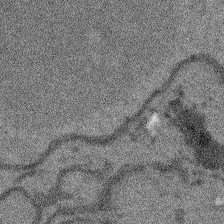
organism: Arabidopsis thaliana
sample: Root tip